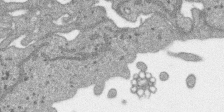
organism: Human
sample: Lung epithelial cells infected with SARS-CoV-2